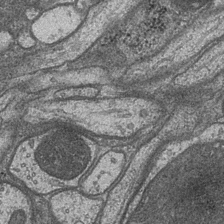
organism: Drosophila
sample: Optic medulla